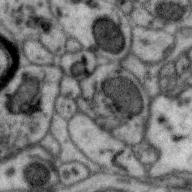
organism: Zebra finch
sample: Brain